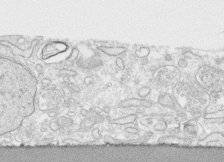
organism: Human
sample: CRL-1474